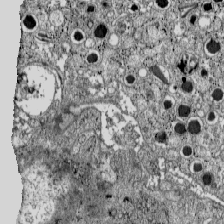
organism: C57BL Mouse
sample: Pancreatic islet